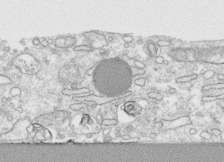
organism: Human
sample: CRL-1474